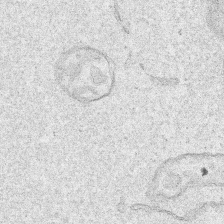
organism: Human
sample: Mitochondria in HCT116 cells